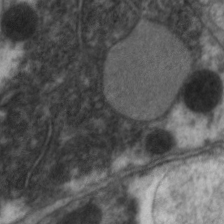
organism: C. elegans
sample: Pharynx